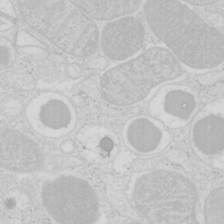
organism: Mouse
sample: Pancreas